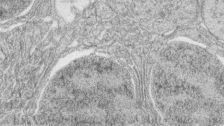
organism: Zebrafish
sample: synaptic ribbons in rod cells and cone cells